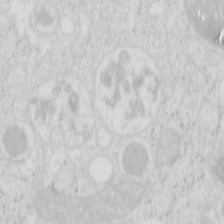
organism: Mouse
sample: Pancreas